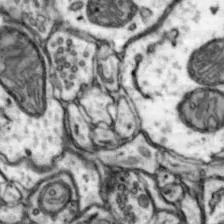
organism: Mouse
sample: Nucleus accumbens